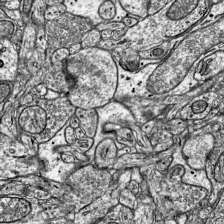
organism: Mouse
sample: Visual Cortex